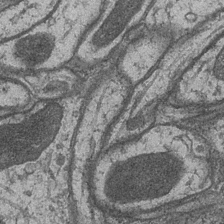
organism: Drosophila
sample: Optic medulla